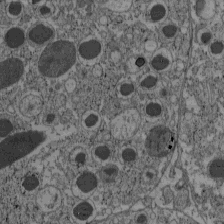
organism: C57BL Mouse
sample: Pancreatic islet